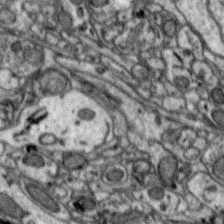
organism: Zebra finch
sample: Brain